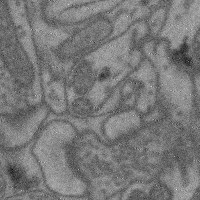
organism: Mouse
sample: Cerebral cortex